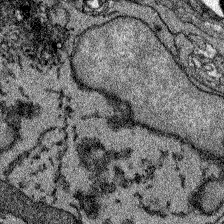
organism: Zebrafish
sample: Larval olfactory bulb